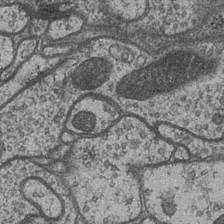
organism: Drosophila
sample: Optic medulla